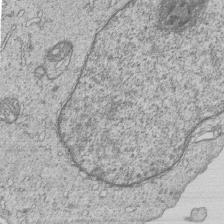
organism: Human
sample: MDA-MB-231 cells